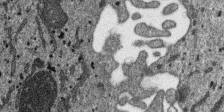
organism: Human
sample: Lung epithelial cells infected with SARS-CoV-2